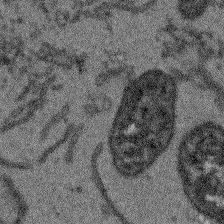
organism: Arabidopsis thaliana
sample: Root tip